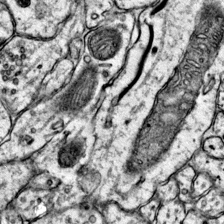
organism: Mouse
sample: Primary visual cortex